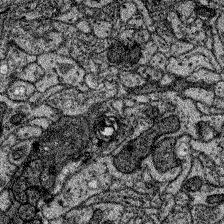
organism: Zebrafish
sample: Larval olfactory bulb